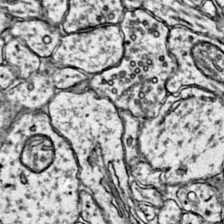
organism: Mouse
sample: Primary visual cortex